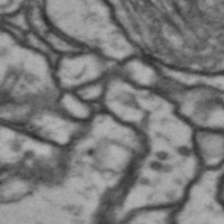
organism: Drosophila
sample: Brain